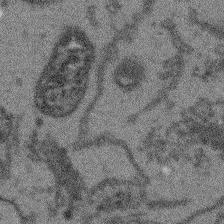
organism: Arabidopsis thaliana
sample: Root tip